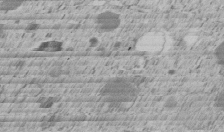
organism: C. elegans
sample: C. elegans embryo early stage